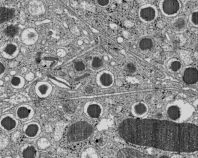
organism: C57BL Mouse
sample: Pancreatic islet